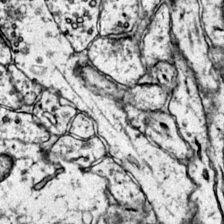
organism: Mouse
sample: Primary visual cortex